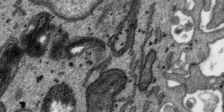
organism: Human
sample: Lung epithelial cells, uninfected (mock) control